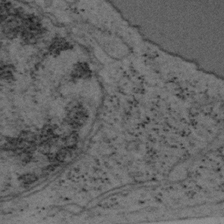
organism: Human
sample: HeLa cells